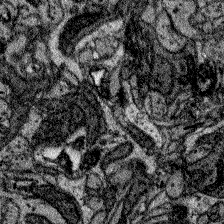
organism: Zebrafish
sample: Larval olfactory bulb